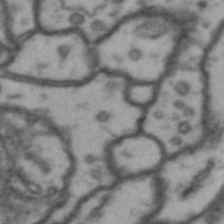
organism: Drosophila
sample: Brain